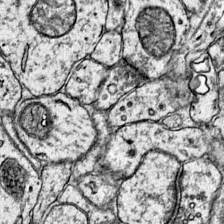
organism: Mouse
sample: Primary visual cortex